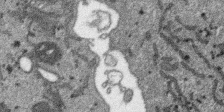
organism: Human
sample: Lung epithelial cells infected with SARS-CoV-2